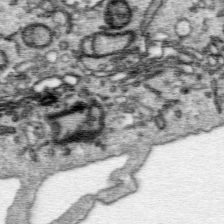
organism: Human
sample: HeLa cells